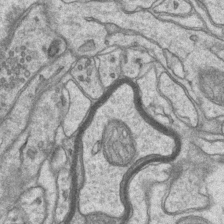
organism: Mouse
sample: CA1 Hippocampus